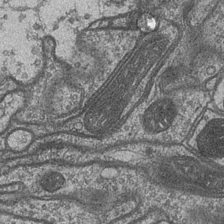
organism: Drosophila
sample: Optic medulla